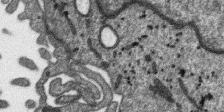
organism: Human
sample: Lung epithelial cells infected with SARS-CoV-2